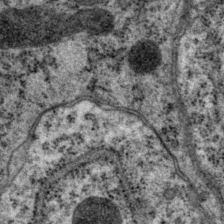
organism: P. pacificus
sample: Pharynx